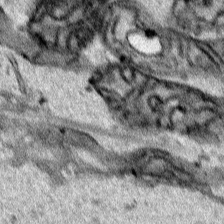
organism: Human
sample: Mitochondria in HCT116 cells